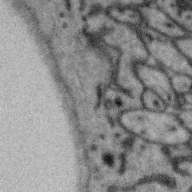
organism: Zebra finch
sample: Brain